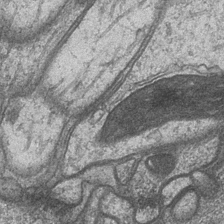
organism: Drosophila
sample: Optic medulla